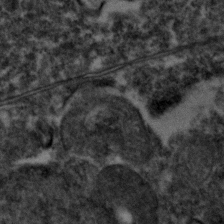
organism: Zebrafish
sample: Zebrafish embryo